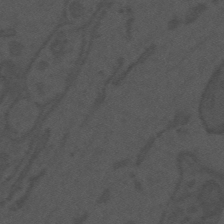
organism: Mouse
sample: Suprachiasmatic nucleus